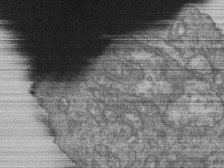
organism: Human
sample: Retinal organoid Rod and Cone cells